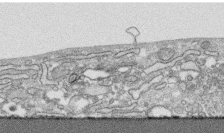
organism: Human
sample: CRL-1474